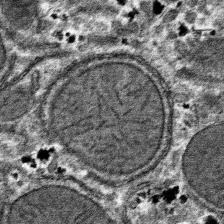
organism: Mouse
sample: Mouse hepatocytes